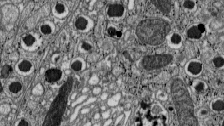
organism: C57BL Mouse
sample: Pancreatic islet